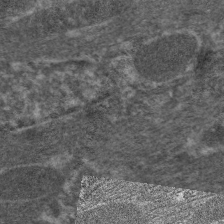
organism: C. elegans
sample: Pharynx